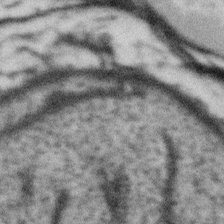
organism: Gemmata obscuriglobus